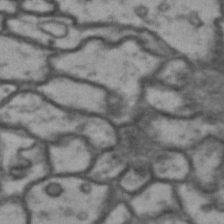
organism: Drosophila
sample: Brain